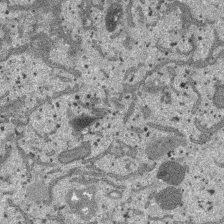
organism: Human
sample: Lung epithelial cells infected with SARS-CoV-2